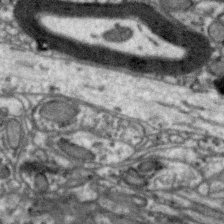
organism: Zebra finch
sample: Brain